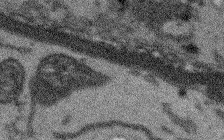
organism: Arabidopsis thaliana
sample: Root tip